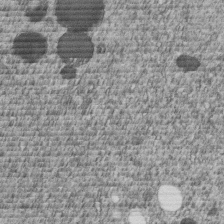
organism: C. elegans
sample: C. elegans embryo early stage